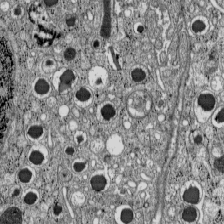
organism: C57BL Mouse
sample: Pancreatic islet